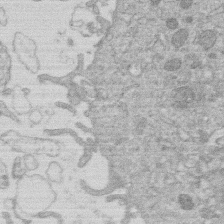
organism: Human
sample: Macrophage cells